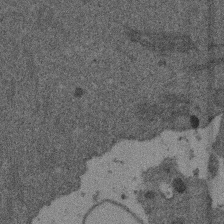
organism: Mouse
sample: Dividing mouse embryo 1 cell stage